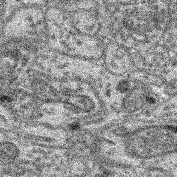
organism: Mouse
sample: Retina